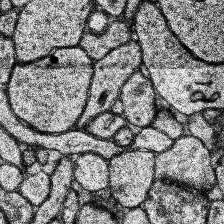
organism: Human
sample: Temporal Lobe